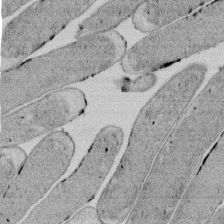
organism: E. coli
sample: Bacterial nucleoid